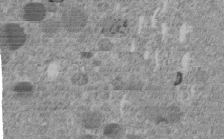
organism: C. elegans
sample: C. elegans embryo early stage